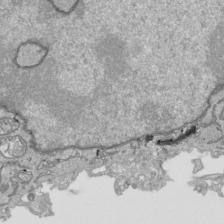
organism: Human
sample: Mitochondria in HCT116 cells